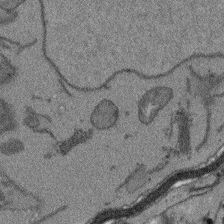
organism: Arabidopsis thaliana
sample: Root tip